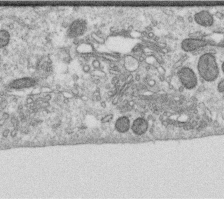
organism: Human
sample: Centriole in RPE cells